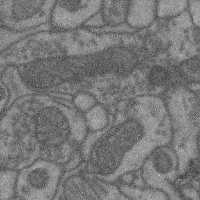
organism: Mouse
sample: Cerebral cortex